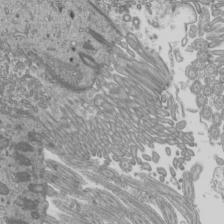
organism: Mouse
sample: Cilia; mouse epididymis